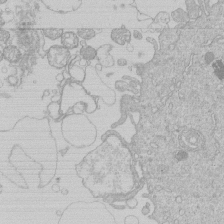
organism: Human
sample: Macrophage cells